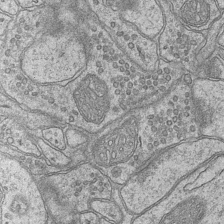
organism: Mouse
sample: CA1 Hippocampus